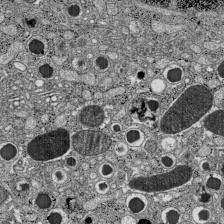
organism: C57BL Mouse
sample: Pancreatic islet